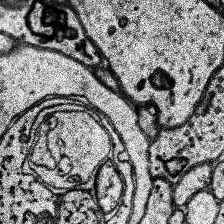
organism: Human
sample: Temporal Lobe